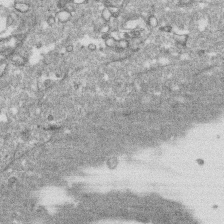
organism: Human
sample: CRL-1474